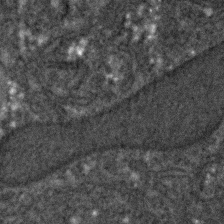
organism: C. elegans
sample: C. elegans embryo